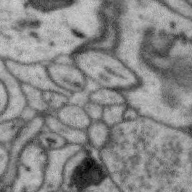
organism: Zebra finch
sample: Brain